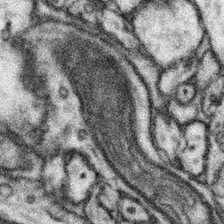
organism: Mouse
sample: Somatosensory cortex neuropil